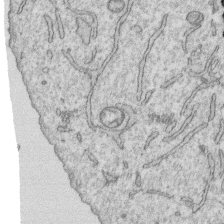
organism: Human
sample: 1205lu cells